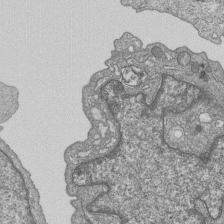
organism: Human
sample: MDA-MB-231 cells